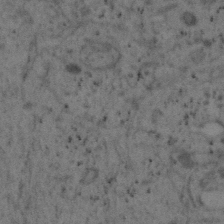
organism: Human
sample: HeLa cells